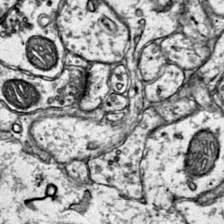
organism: Mouse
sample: Primary visual cortex